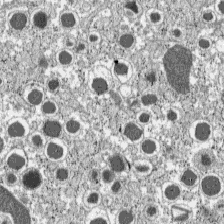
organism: C57BL Mouse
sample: Pancreatic islet